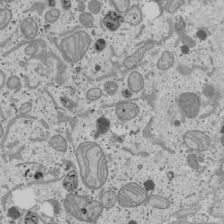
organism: Human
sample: Mitochondria in U2OS cells